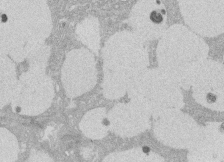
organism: Rat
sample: Salivary granule